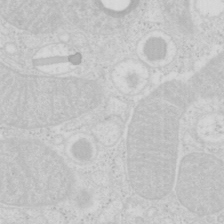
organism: Mouse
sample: Pancreas